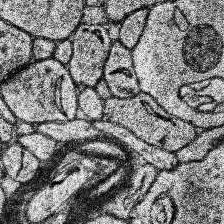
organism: Human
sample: Temporal Lobe